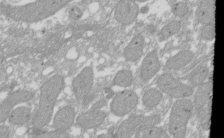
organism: Xenopus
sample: Cilia; centrioles in frog embryo cells